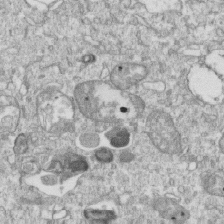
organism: Mouse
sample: Activated OT-1 CD8+ T cells